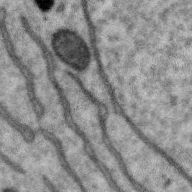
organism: Zebra finch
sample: Brain